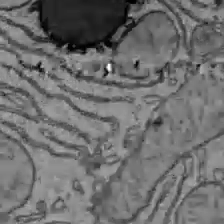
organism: C57BL Mouse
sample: Liver